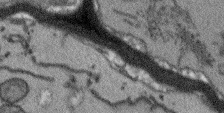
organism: Arabidopsis thaliana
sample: Root tip